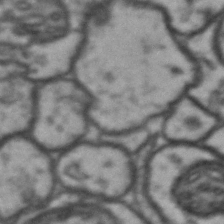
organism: Drosophila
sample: Brain